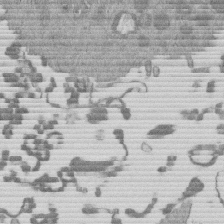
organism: Mouse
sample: Dividing mouse embryo 1 cell stage